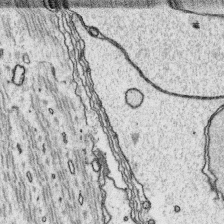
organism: Platynereis dumerilii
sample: Parapodia